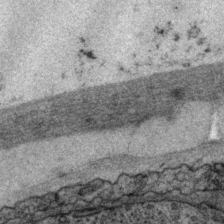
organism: P. pacificus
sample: Pharynx